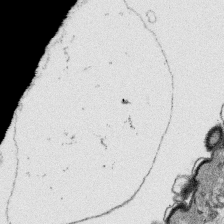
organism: Platynereis dumerilii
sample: Parapodia